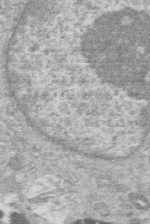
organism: Human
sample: Macrophage cells